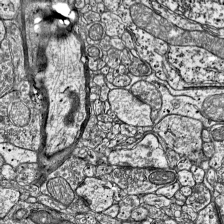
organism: Mouse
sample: Visual Cortex